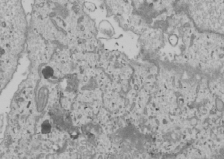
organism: Human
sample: Mitochondria in U2OS cells